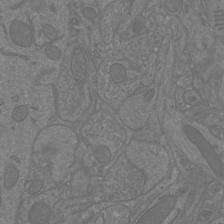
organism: Mouse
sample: Cortical neurons